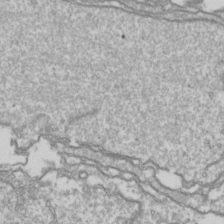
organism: Drosophila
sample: Cell division; meiosis; drosophila spermatocytes